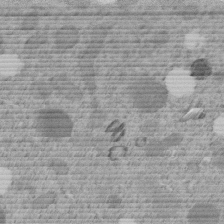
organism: C. elegans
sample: C. elegans embryo early stage